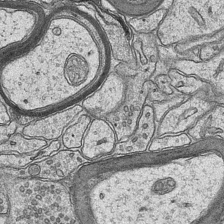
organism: Mouse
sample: CA1 Hippocampus